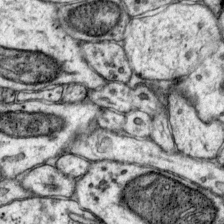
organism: Mouse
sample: Primary visual cortex